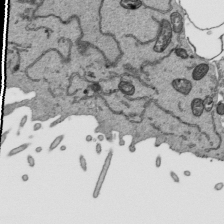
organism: Human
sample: Mitochondria in HCT116 cells